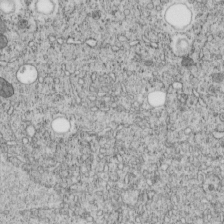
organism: C. elegans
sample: C. elegans embryo early stage